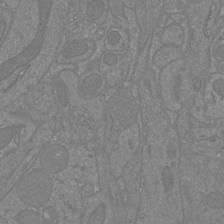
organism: Mouse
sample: Cortical neurons